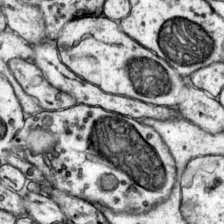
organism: Mouse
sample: Primary visual cortex